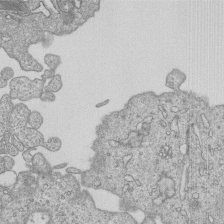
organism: Human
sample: MDA-MB-231 cells